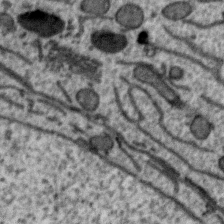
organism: Zebra finch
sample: Brain